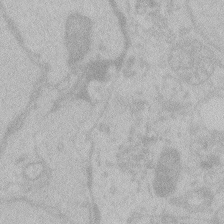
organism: Zebrafish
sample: Macrophage infected with Toxoplasma gondii